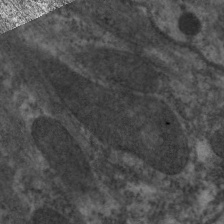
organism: C. elegans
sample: Pharynx